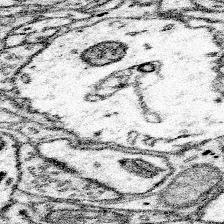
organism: Mouse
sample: Somatosensory cortex neuropil